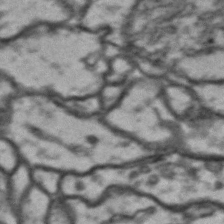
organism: Drosophila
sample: Brain